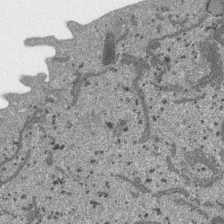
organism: Human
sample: Lung epithelial cells infected with SARS-CoV-2